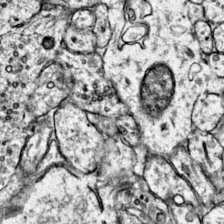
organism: Mouse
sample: Primary visual cortex